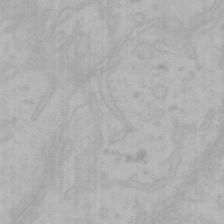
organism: Mouse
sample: Choroid plexus